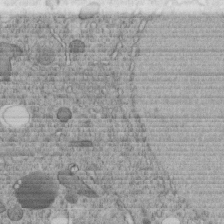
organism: C. elegans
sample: C. elegans embryo early stage